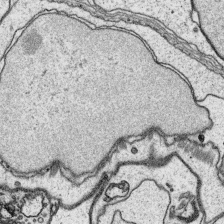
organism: Platynereis dumerilii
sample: Parapodia